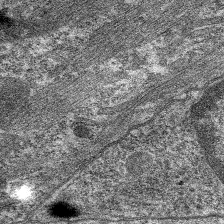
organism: C. elegans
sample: Pharynx